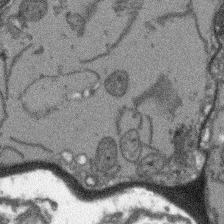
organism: Arabidopsis thaliana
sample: Root tip